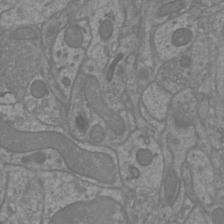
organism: Mouse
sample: Cortical neurons